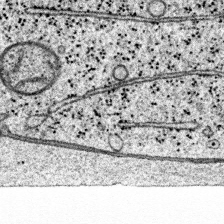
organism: Human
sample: HeLa cells